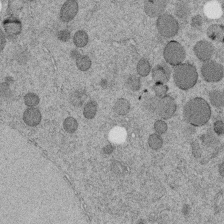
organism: C. elegans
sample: C. elegans embryo early stage